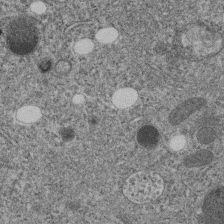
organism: C. elegans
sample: C. elegans embryo early stage